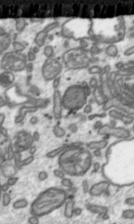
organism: Toxoplasma gondii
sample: Parasites in a vacuole inside a host cell